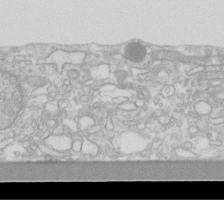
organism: Human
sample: Fibroblast cells